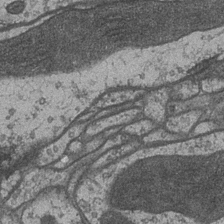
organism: Drosophila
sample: Optic medulla